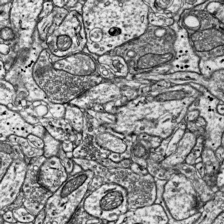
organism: Mouse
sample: Visual Cortex